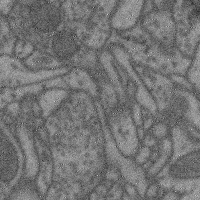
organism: Mouse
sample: Cerebral cortex